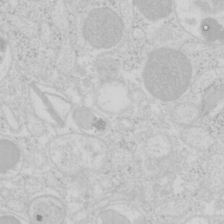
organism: Mouse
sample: Pancreas